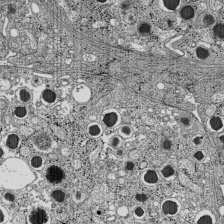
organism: C57BL Mouse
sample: Pancreatic islet